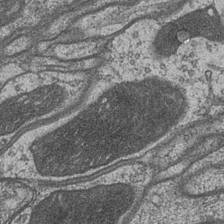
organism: Drosophila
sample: Optic medulla